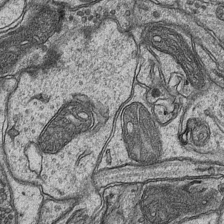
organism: Mouse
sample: CA1 Hippocampus